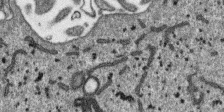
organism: Human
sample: Lung epithelial cells infected with SARS-CoV-2